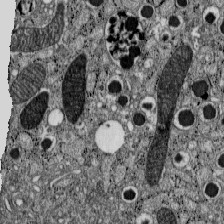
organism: C57BL Mouse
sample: Pancreatic islet